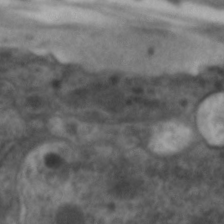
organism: C. elegans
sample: Pharynx